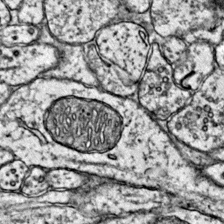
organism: Mouse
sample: Primary visual cortex